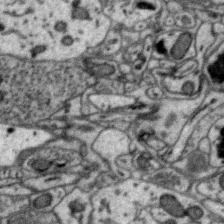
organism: Zebra finch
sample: Brain